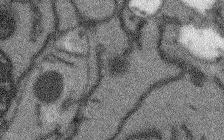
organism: Arabidopsis thaliana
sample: Root tip